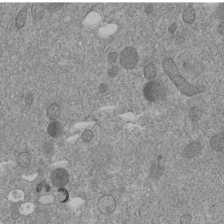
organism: C. elegans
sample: C. elegans embryo early stage